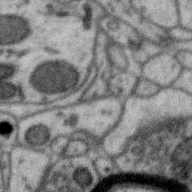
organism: Zebra finch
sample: Brain